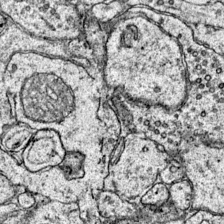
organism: Mouse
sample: Primary visual cortex